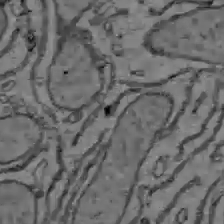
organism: C57BL Mouse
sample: Liver